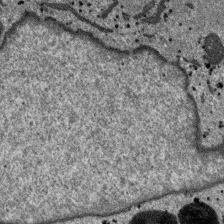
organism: Human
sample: Lung epithelial cells, uninfected (mock) control